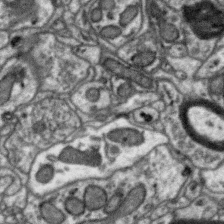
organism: Zebra finch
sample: Brain